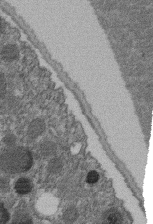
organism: C. elegans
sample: C. elegans embryo early stage